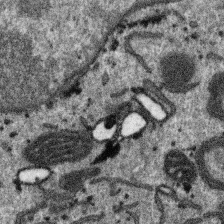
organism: Human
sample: Lung epithelial cells infected with SARS-CoV-2